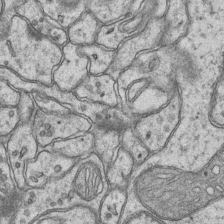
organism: Mouse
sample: CA1 Hippocampus